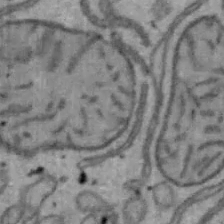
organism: Mouse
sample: Liver